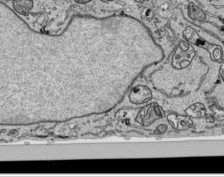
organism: Human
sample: Mitochondria in HCT116 cells